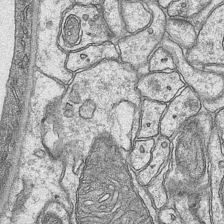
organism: Mouse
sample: CA1 Hippocampus